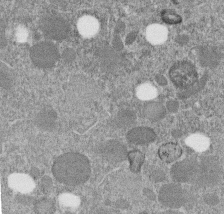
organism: C. elegans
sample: C. elegans embryo early stage